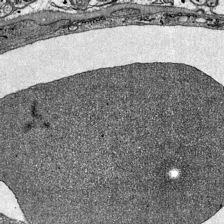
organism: Mouse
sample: Visual Cortex